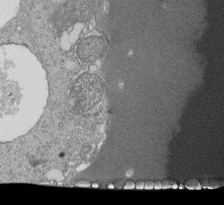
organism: Tetrahymena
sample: Cilia in tetrahymena